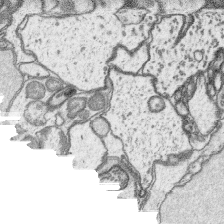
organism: Platynereis dumerilii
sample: Parapodia